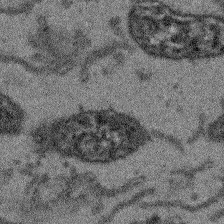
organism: Arabidopsis thaliana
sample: Root tip